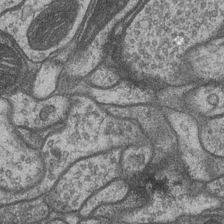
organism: Drosophila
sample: Optic medulla